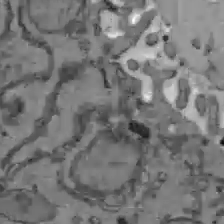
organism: C57BL Mouse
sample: Liver